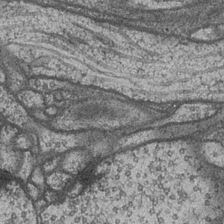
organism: Drosophila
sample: Optic medulla